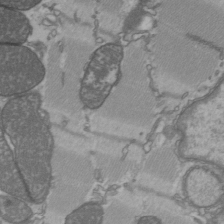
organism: C57BL Mouse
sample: Heart